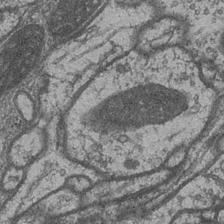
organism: Drosophila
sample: Optic medulla